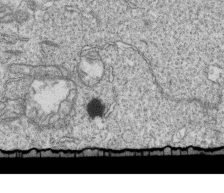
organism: Human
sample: HeLa cell HIV synapse